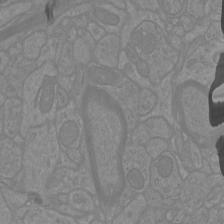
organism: Mouse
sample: Cortical neurons